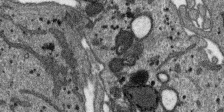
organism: Human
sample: Lung epithelial cells infected with SARS-CoV-2